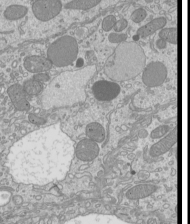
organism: Mouse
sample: Cilia; mouse epididymis